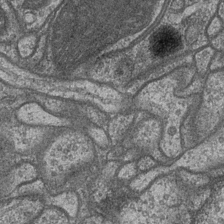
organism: Drosophila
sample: Optic medulla